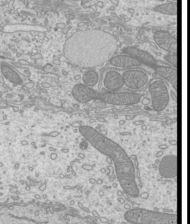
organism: Mouse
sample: Cilia; mouse epididymis